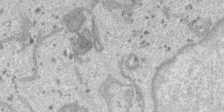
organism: Human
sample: Lung epithelial cells infected with SARS-CoV-2